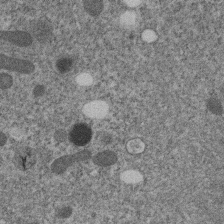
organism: C. elegans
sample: C. elegans embryo early stage